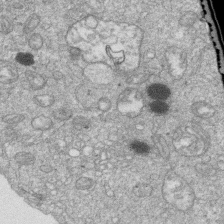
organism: Human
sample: HeLa cell HIV synapse